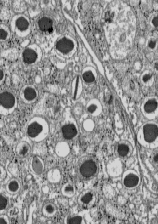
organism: C57BL Mouse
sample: Pancreatic islet